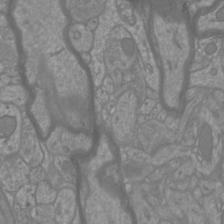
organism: Mouse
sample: Cortical neurons